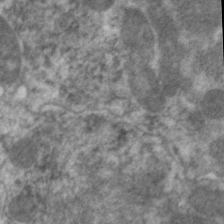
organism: C. elegans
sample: Pharynx